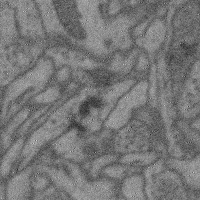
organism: Mouse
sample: Cerebral cortex